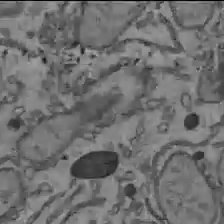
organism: C57BL Mouse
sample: Liver